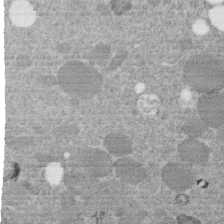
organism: C. elegans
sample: C. elegans embryo early stage